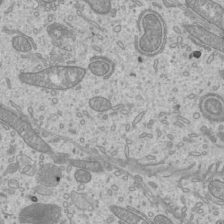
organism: Mouse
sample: Cilia; mouse epididymis